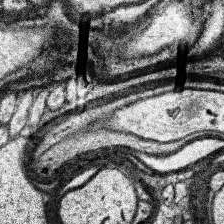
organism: Human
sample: Temporal Lobe